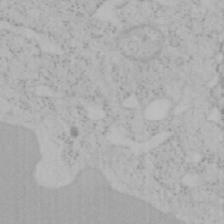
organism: Mouse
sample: OT-I killer T cells with ID8 ovarian cancer cells